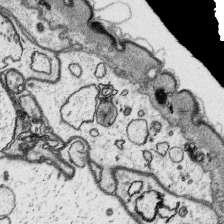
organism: Platynereis dumerilii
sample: Parapodia